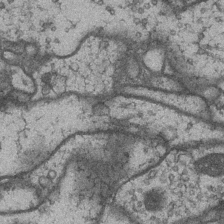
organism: Drosophila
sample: Optic medulla